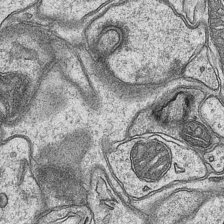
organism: Mouse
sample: CA1 Hippocampus